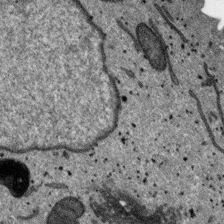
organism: Human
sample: Lung epithelial cells, uninfected (mock) control